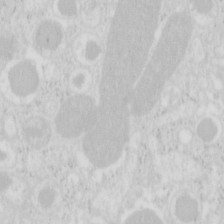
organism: Mouse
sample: Pancreas